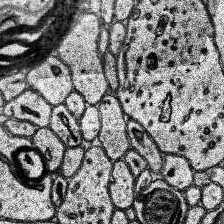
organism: Human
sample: Temporal Lobe